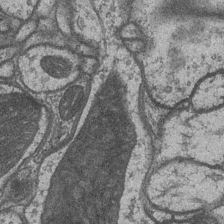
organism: Drosophila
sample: Optic medulla